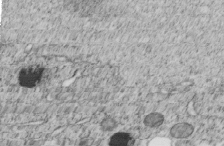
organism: C. elegans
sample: C. elegans embryo early stage